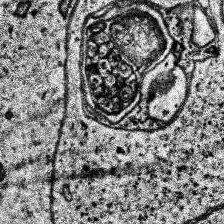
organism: Human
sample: Temporal Lobe